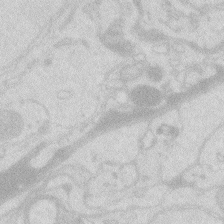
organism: Zebrafish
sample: Macrophage